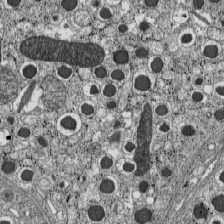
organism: C57BL Mouse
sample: Pancreatic islet